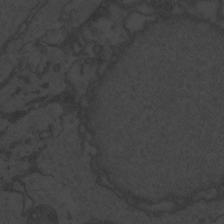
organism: Zebrafish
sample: Macrophage infected with Toxoplasma gondii